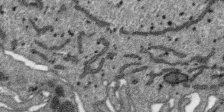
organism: Human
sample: Lung epithelial cells, uninfected (mock) control